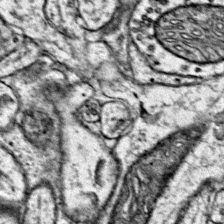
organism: Mouse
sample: Primary visual cortex